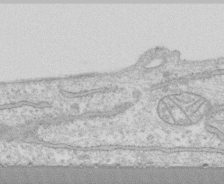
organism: Human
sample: CRL-1474